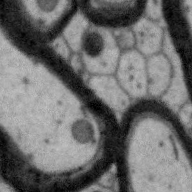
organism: Zebra finch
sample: Brain